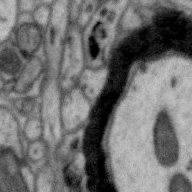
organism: Zebra finch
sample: Brain